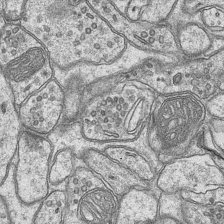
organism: Mouse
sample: CA1 Hippocampus